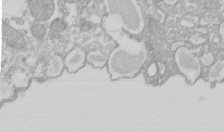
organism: Xenopus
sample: Cilia; centrioles in frog embryo cells